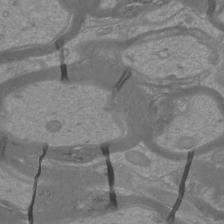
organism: Mouse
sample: Cortical neurons